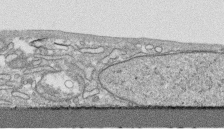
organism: Human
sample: CRL-1474